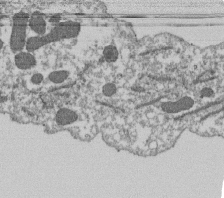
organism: Dictyostelium discoideum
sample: Dictyostelium multivesicular bodies